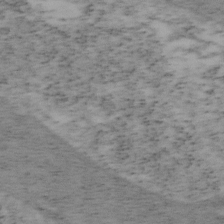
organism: Mouse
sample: OT-I killer T cells with ID8 ovarian cancer cells